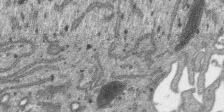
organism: Human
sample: Lung epithelial cells infected with SARS-CoV-2